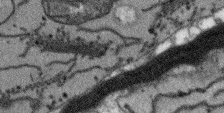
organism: Arabidopsis thaliana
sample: Root tip